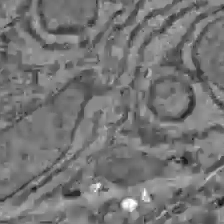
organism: C57BL Mouse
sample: Liver